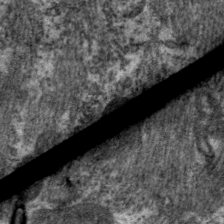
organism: C. elegans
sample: Pharynx